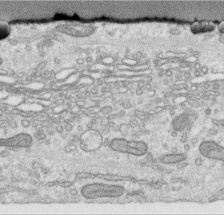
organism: Human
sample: Centriole in RPE cells